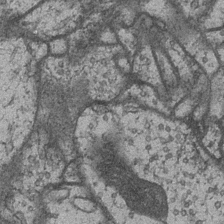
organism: Drosophila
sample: Optic medulla